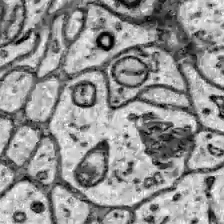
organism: Zebrafish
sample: Brain